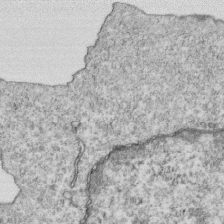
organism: Mouse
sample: Activated OT-1 CD8+ T cells